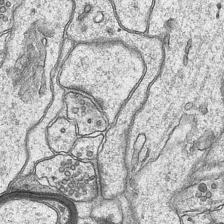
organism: Mouse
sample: CA1 Hippocampus